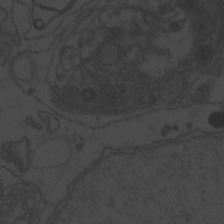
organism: Zebrafish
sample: Macrophage infected with Toxoplasma gondii